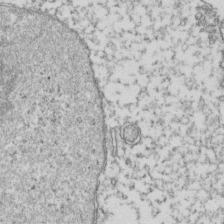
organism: Human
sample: Activated Jurkat CD4+ T cells